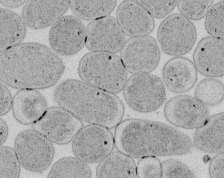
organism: E. coli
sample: Bacterial nucleoid